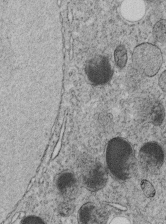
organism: C. elegans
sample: C. elegans embryo early stage